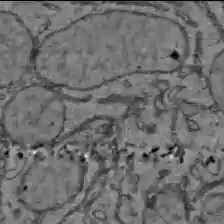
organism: C57BL Mouse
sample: Liver